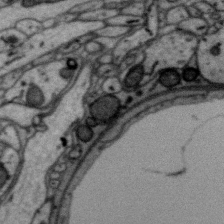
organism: Zebra finch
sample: Brain